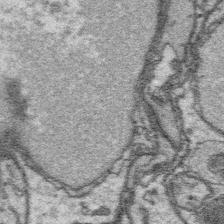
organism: Platynereis dumerilii